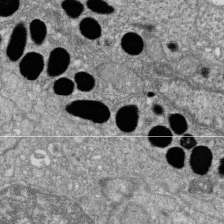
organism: Zebrafish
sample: Cilia; retinal pigment epithelium